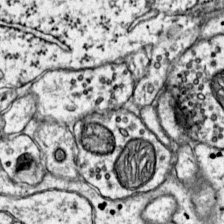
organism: Mouse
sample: Primary visual cortex